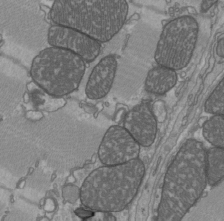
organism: C57BL Mouse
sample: Heart